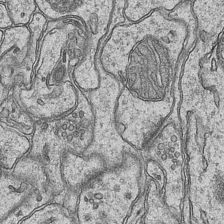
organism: Mouse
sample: CA1 Hippocampus